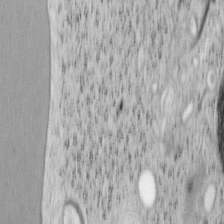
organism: Human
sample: HeLa cells